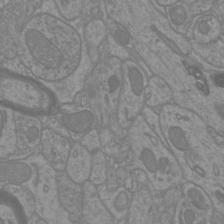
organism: Mouse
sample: Cortical neurons